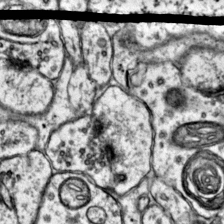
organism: Mouse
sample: Primary visual cortex